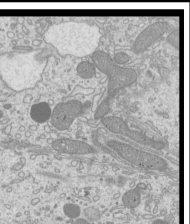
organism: Mouse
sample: Cilia; mouse epididymis